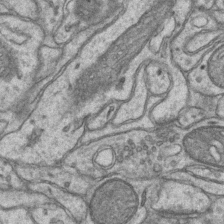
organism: Mouse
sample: CA1 Hippocampus